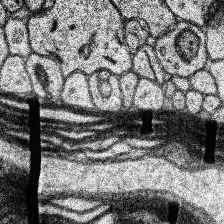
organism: Human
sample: Temporal Lobe